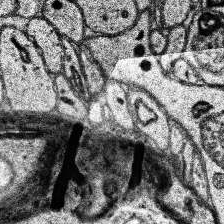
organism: Human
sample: Temporal Lobe